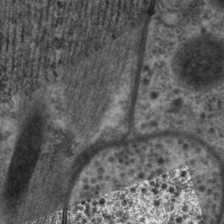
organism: P. pacificus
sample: Pharynx